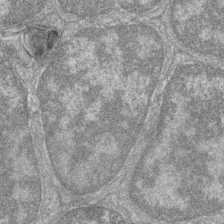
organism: Zebrafish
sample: Cilia; retinal pigment epithelium